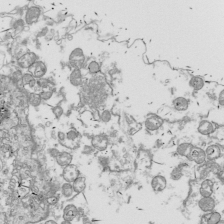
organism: Drosophila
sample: Cell division; meiosis; drosophila spermatocytes